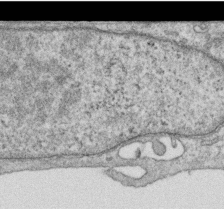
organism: Human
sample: Centriole in RPE cells